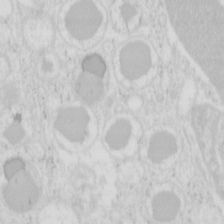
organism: Mouse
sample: Pancreas